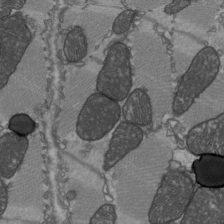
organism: C57BL Mouse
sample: Heart